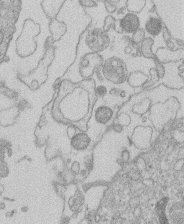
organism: Human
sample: Macrophage cells